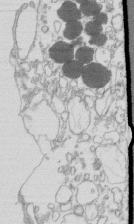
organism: Mouse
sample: Macrophages